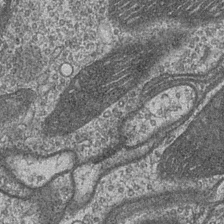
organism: Drosophila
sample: Optic medulla